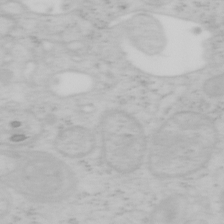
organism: Mouse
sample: OT-I killer T cells with ID8 ovarian cancer cells